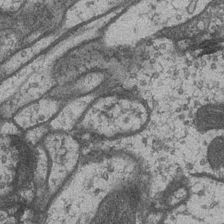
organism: Drosophila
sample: Optic medulla